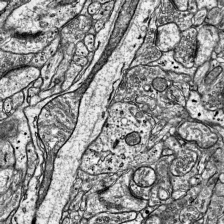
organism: Mouse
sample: Visual Cortex